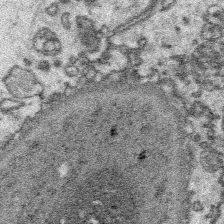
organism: Platynereis dumerilii